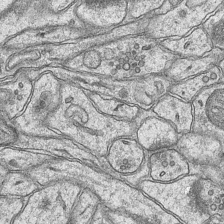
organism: Mouse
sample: CA1 Hippocampus